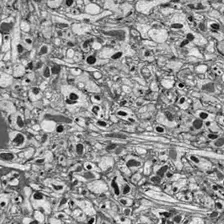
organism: Drosophila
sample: Optic lobe